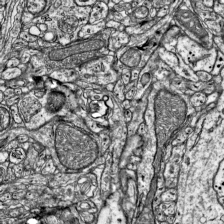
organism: Mouse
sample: Visual Cortex